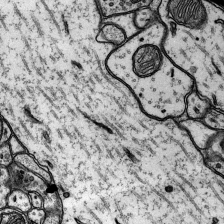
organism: Rat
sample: Hippocampus